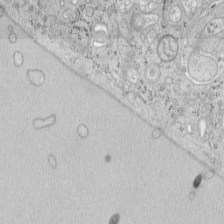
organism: Mouse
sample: OT-I killer T cells with ID8 ovarian cancer cells